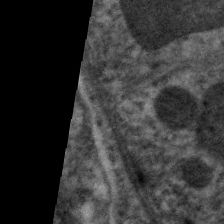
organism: C. elegans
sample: Pharynx